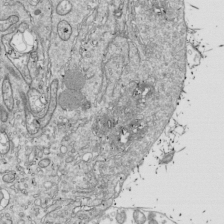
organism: Drosophila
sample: Cell division; meiosis; drosophila spermatocytes